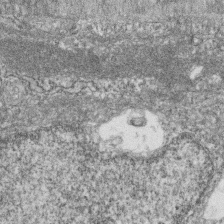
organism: Zebrafish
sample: Cilia; retinal pigment epithelium